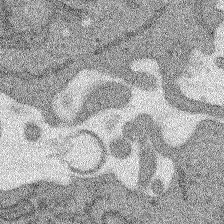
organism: Human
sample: HeLa cells